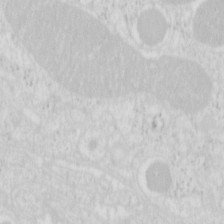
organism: Mouse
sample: Pancreas